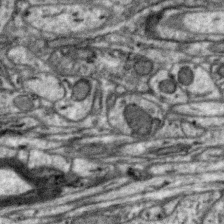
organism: Zebra finch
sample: Brain